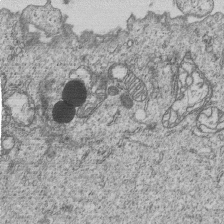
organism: Human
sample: MDA-MB-231 cells